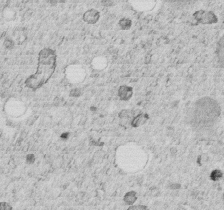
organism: C. elegans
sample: C. elegans embryo early stage